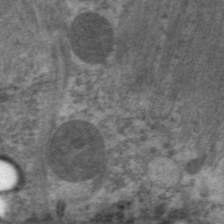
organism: C. elegans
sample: Pharynx